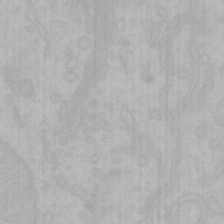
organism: Mouse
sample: Choroid plexus